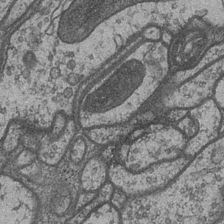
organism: Drosophila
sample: Optic medulla